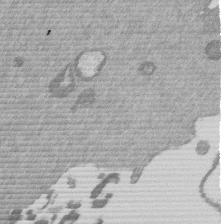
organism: Mouse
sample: Dividing mouse embryo 1 cell stage